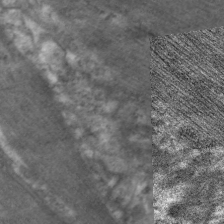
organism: C. elegans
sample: Pharynx